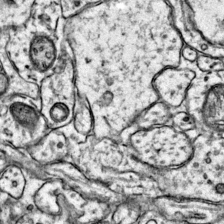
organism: Mouse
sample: Primary visual cortex